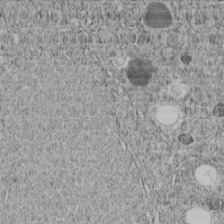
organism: C. elegans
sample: C. elegans embryo early stage